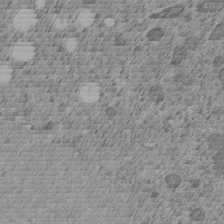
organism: C. elegans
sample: C. elegans embryo early stage